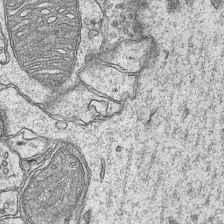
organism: Mouse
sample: CA1 Hippocampus